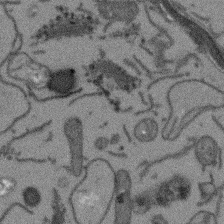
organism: Arabidopsis thaliana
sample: Root tip